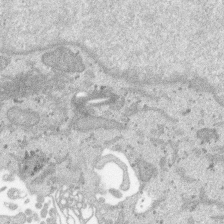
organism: Human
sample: Lung epithelial cells infected with SARS-CoV-2